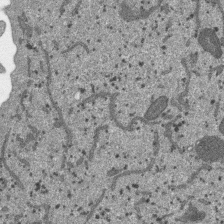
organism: Human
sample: Lung epithelial cells infected with SARS-CoV-2